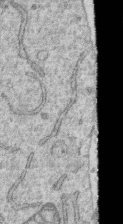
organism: Human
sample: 1205lu cells